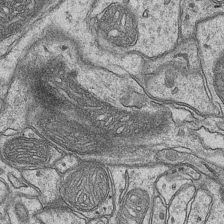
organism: Mouse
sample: CA1 Hippocampus